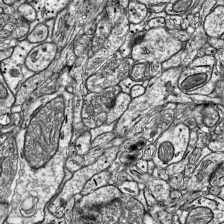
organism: Mouse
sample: Visual Cortex